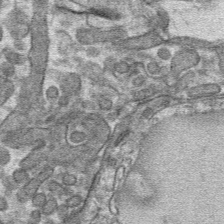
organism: Mouse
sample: Mouse hepatocytes